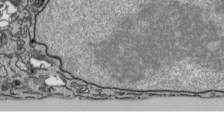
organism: Human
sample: Mitochondria in HCT116 cells